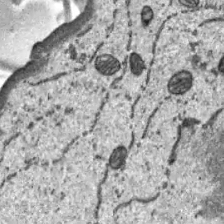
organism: Human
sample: HeLa cells